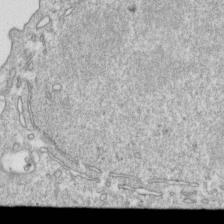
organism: Mouse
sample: Activated OT-1 CD8+ T cells